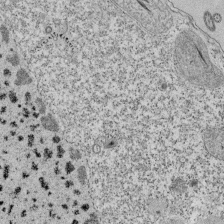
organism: Tetrahymena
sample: Cilia in tetrahymena